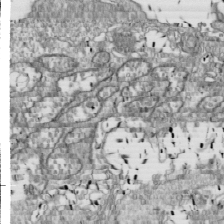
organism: Drosophila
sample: Cell division; meiosis; drosophila spermatocytes